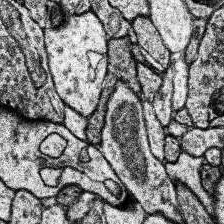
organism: Human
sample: Temporal Lobe